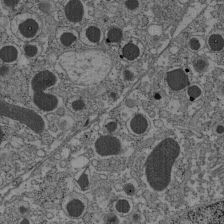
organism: C57BL Mouse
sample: Pancreatic islet